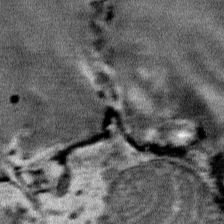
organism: Mouse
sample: Mouse Salivary gland